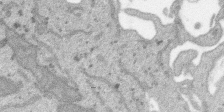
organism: Human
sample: Lung epithelial cells infected with SARS-CoV-2